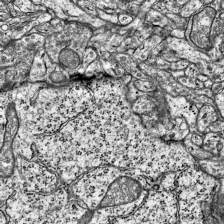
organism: Mouse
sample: Visual Cortex